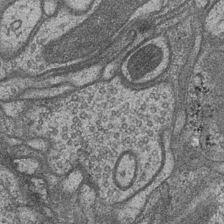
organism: Drosophila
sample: Optic medulla